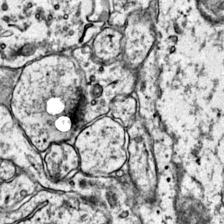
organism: Mouse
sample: Primary visual cortex